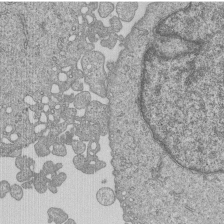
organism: Human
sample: MDA-MB-231 cells